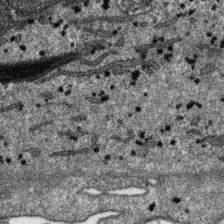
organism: Human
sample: Lung epithelial cells infected with SARS-CoV-2